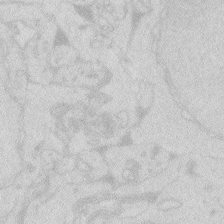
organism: Zebrafish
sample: Macrophage